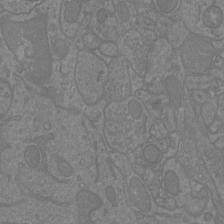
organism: Mouse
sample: Cortical neurons